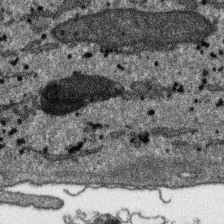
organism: Human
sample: Lung epithelial cells infected with SARS-CoV-2